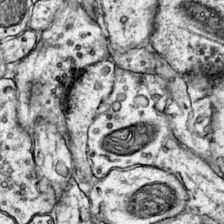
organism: Mouse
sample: Primary visual cortex